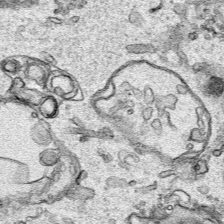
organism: Human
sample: Mitochondria in HCT116 cells